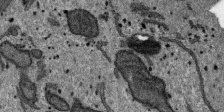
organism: Human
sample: Lung epithelial cells, uninfected (mock) control